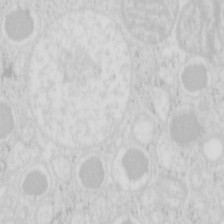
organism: Mouse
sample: Pancreas